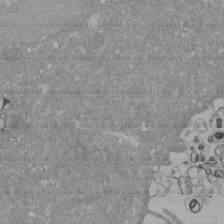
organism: Mouse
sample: ED-1 cell nuclei; centrioles